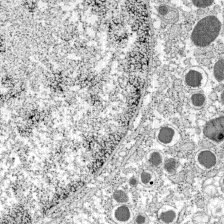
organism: C57BL Mouse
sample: Pancreatic islet